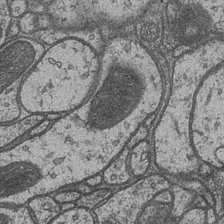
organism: Drosophila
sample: Optic medulla